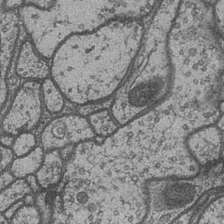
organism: Drosophila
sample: Optic medulla